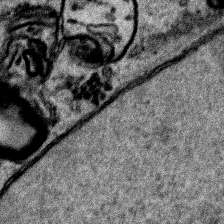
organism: Human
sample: Mitochondria in HCT116 cells